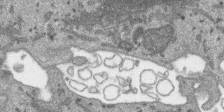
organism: Human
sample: Lung epithelial cells infected with SARS-CoV-2